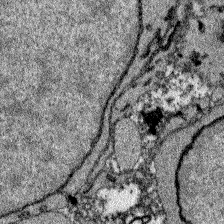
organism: Zebrafish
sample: Larval olfactory bulb